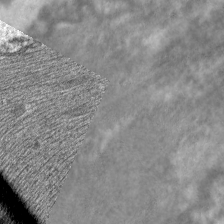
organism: C. elegans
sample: Pharynx